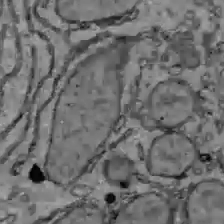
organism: C57BL Mouse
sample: Liver